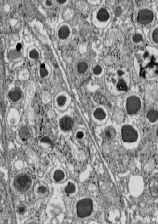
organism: C57BL Mouse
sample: Pancreatic islet